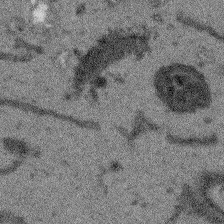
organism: Arabidopsis thaliana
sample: Root tip